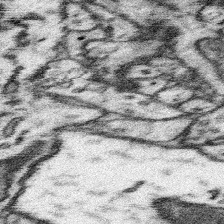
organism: Mouse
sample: Somatosensory cortex neuropil